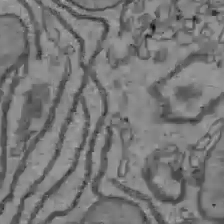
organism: C57BL Mouse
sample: Liver